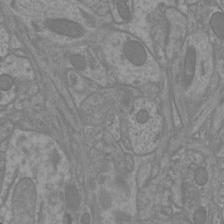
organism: Mouse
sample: Cortical neurons